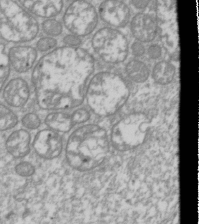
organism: Drosophila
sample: Cell division; meiosis; drosophila spermatocytes